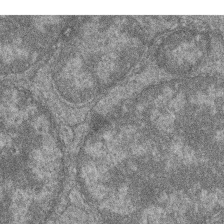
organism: Zebrafish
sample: Cilia; retinal pigment epithelium